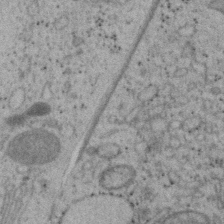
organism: Human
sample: HeLa cells